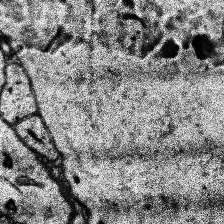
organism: Human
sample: Temporal Lobe